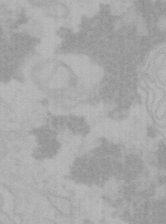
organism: Mouse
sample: Choroid plexus